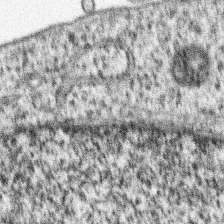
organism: Human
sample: HeLa cells